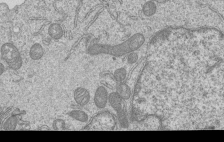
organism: Human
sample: MDA-MB-231 cells